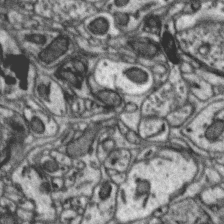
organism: Zebra finch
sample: Brain